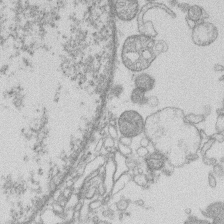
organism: Human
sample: Macrophage cells